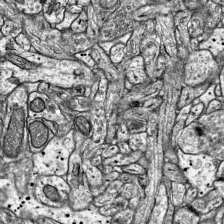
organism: Mouse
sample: Visual Cortex